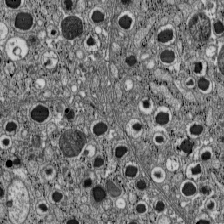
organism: C57BL Mouse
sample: Pancreatic islet